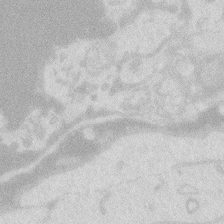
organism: Zebrafish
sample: Macrophage